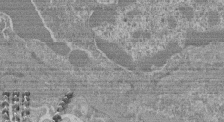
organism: Mouse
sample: Glomerulus